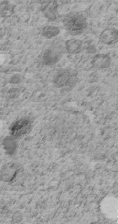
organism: C. elegans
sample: C. elegans embryo early stage